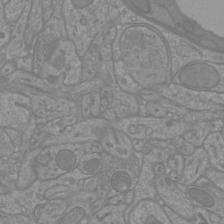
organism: Mouse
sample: Cortical neurons